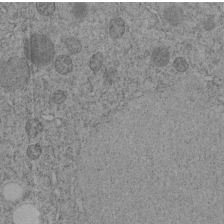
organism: C. elegans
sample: C. elegans embryo early stage